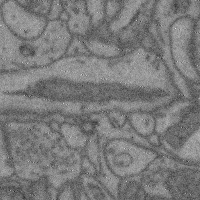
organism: Mouse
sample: Cerebral cortex